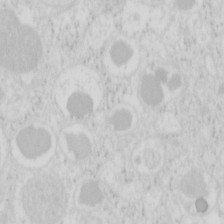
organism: Mouse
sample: Pancreas